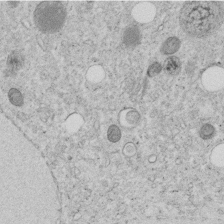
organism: C. elegans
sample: C. elegans embryo early stage